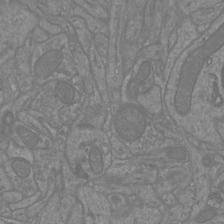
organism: Mouse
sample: Cortical neurons